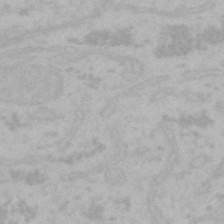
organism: Mouse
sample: Choroid plexus